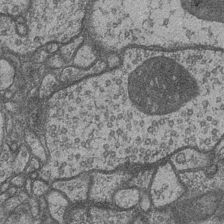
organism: Drosophila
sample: Optic medulla